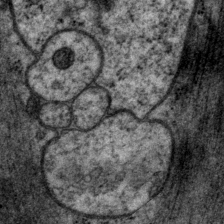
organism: P. pacificus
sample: Pharynx